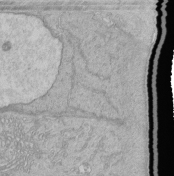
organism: Human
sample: Retinal organoid Rod and Cone cells